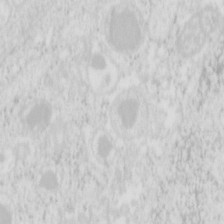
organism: Mouse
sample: Pancreas